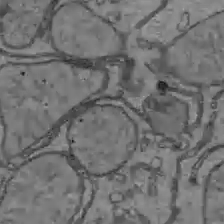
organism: C57BL Mouse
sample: Liver